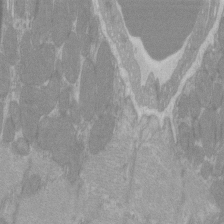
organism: C57BL Mouse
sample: Tibialis anterior muscle cell